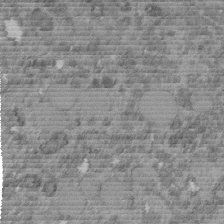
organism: C. elegans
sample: C. elegans embryo early stage